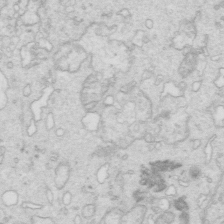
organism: Mouse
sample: Multiciliated cells